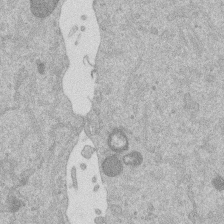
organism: Mouse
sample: Dividing mouse embryo 1 cell stage